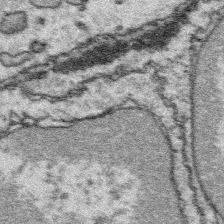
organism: Platynereis dumerilii